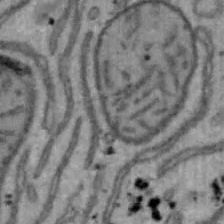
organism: Mouse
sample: Liver